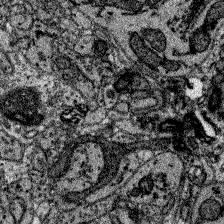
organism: Zebrafish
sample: Larval olfactory bulb